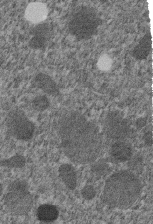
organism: C. elegans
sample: C. elegans embryo early stage